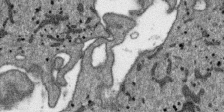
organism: Human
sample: Lung epithelial cells, uninfected (mock) control